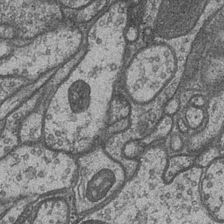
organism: Drosophila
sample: Optic medulla